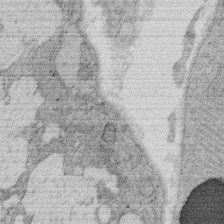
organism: Rat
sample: Salivary granule